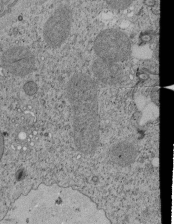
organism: Tetrahymena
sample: Cilia in tetrahymena